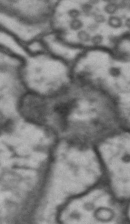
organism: Drosophila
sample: Brain